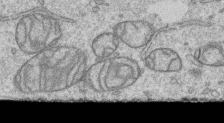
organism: Human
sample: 1205lu cells